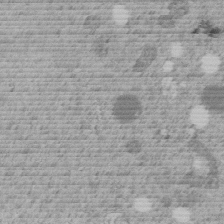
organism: C. elegans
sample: C. elegans embryo early stage